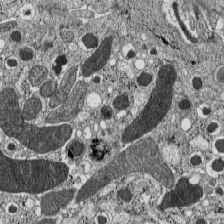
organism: C57BL Mouse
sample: Pancreatic islet